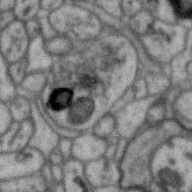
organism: Zebra finch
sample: Brain